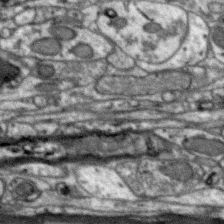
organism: Zebra finch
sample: Brain